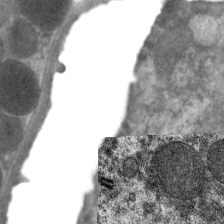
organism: C. elegans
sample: Pharynx